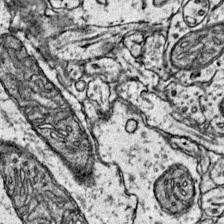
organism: Mouse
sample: Primary visual cortex